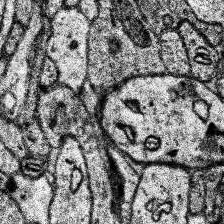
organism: Human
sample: Temporal Lobe